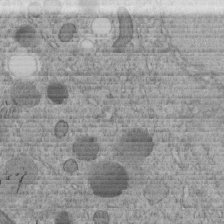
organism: C. elegans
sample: C. elegans embryo early stage